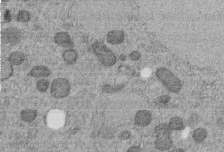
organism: C. elegans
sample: C. elegans embryo early stage